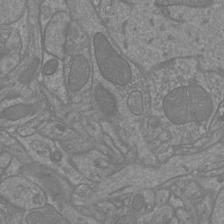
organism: Mouse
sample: Cortical neurons